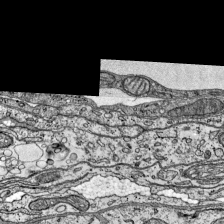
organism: Mouse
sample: Visual Cortex